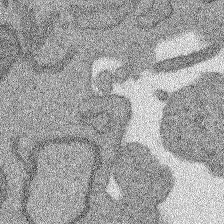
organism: Human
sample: HeLa cells